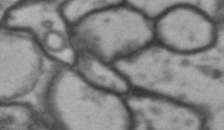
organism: Drosophila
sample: Brain